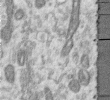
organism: Human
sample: Centriole in RPE cells